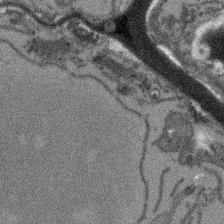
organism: Arabidopsis thaliana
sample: Root tip